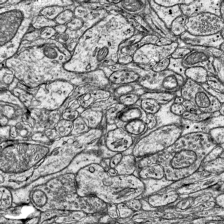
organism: Mouse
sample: Visual Cortex